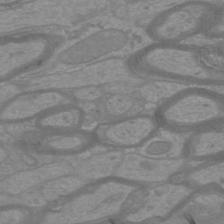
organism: Mouse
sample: Cortical neurons